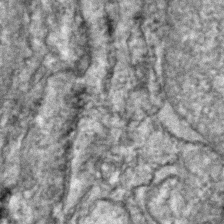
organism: Zebrafish